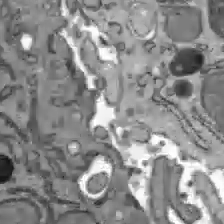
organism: C57BL Mouse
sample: Liver